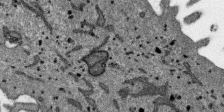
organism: Human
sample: Lung epithelial cells, uninfected (mock) control